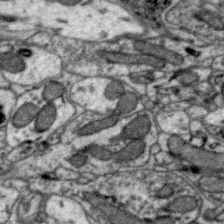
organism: Zebra finch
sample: Brain